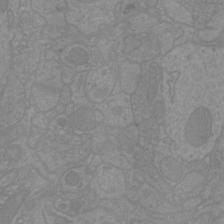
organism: Mouse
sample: Cortical neurons